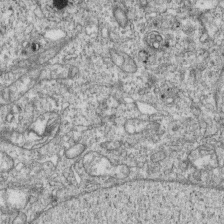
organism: Human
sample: HeLa cell HIV synapse